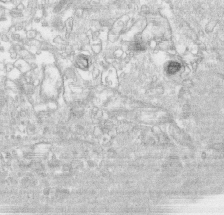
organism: Human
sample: CRL-1474